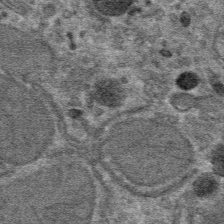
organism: Mouse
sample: Mouse hepatocytes